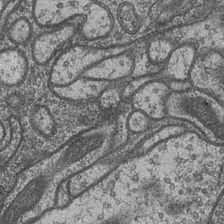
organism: Drosophila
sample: Optic medulla